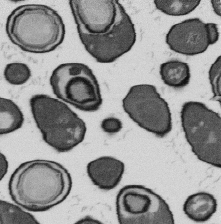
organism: B. subtilis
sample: Bacterial spore